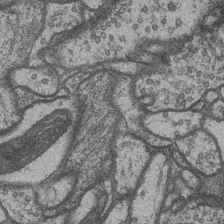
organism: Drosophila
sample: Optic medulla